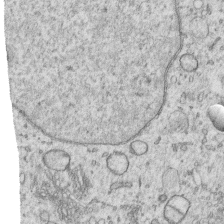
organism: Human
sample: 1205lu cells